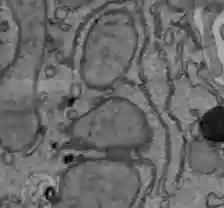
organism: C57BL Mouse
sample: Liver